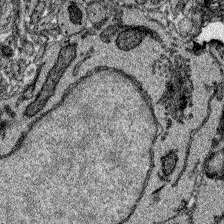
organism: Zebrafish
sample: Larval olfactory bulb